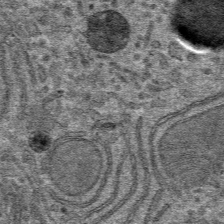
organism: Mouse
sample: Mouse hepatocytes